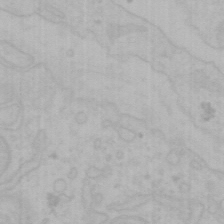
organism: Mouse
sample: Choroid plexus